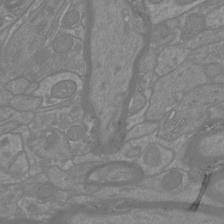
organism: Mouse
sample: Cortical neurons